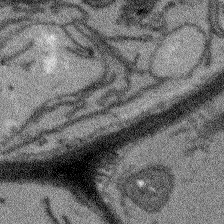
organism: Arabidopsis thaliana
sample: Root tip